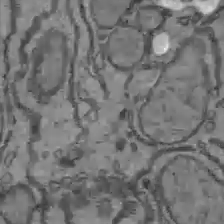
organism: C57BL Mouse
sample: Liver